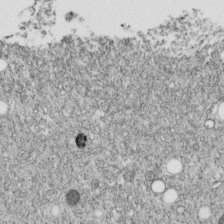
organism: C. elegans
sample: C. elegans embryo early stage